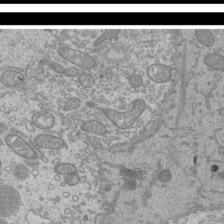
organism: Mouse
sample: Cilia; mouse epididymis